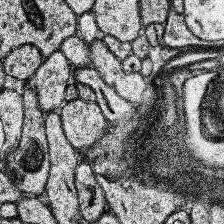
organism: Human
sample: Temporal Lobe